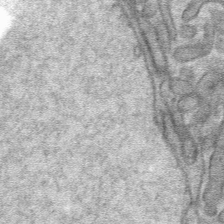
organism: Mouse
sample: Mouse hepatocytes